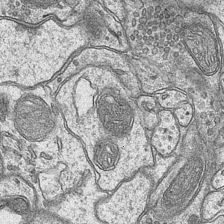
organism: Mouse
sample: CA1 Hippocampus